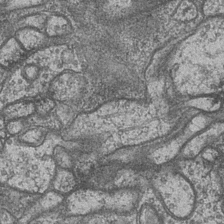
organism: Drosophila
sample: Optic medulla